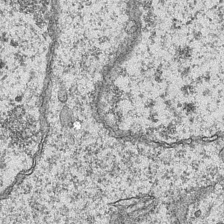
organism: Mouse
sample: CA1 Hippocampus